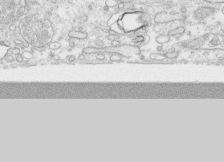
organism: Human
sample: CRL-1474